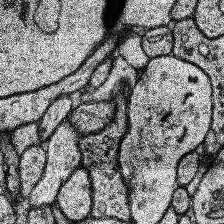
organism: Human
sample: Temporal Lobe